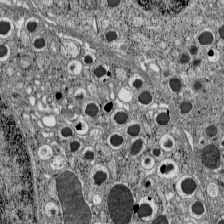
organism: C57BL Mouse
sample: Pancreatic islet